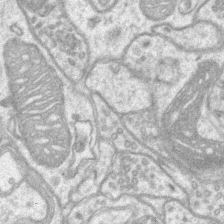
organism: Mouse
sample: CA1 Hippocampus